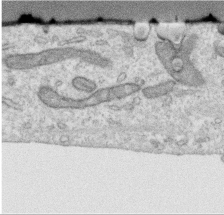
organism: Human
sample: Centriole in RPE cells